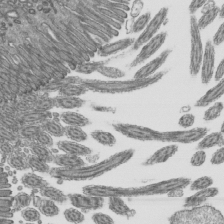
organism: Mouse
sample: Mouse epididymis efferent ductule cilia